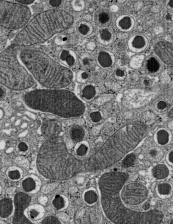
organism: C57BL Mouse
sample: Pancreatic islet